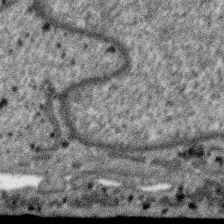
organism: Human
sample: Lung epithelial cells infected with SARS-CoV-2